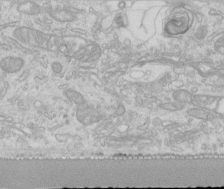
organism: Human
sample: Centriole in RPE cells